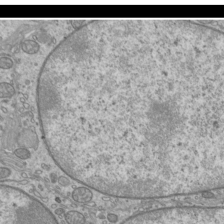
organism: Mouse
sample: Cilia; mouse epididymis